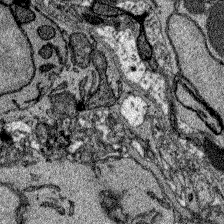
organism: Zebrafish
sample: Larval olfactory bulb